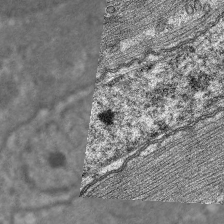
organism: C. elegans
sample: Pharynx